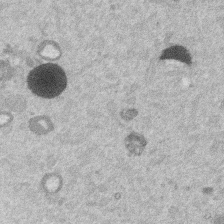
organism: Mouse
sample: Dividing mouse embryo 1 cell stage